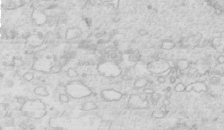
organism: Mouse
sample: Multiciliated cells